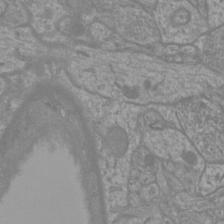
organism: Mouse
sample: Cortical neurons